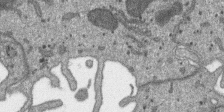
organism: Human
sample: Lung epithelial cells infected with SARS-CoV-2